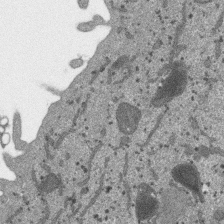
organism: Human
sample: Lung epithelial cells infected with SARS-CoV-2